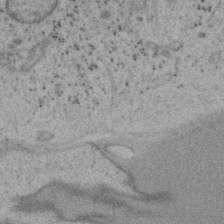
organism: Human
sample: HeLa cells